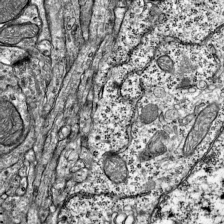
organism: Mouse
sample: Visual Cortex